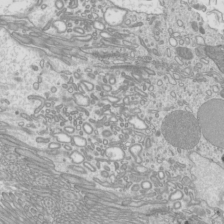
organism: Mouse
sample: Cilia; mouse epididymis